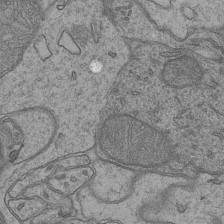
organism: Mouse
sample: CA1 Hippocampus